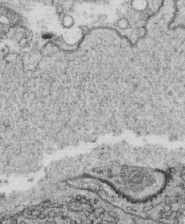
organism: C. elegans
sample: C. elegans oocyte; sperm cells